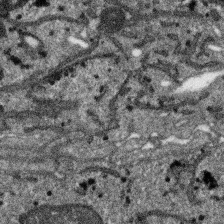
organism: Human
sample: Lung epithelial cells infected with SARS-CoV-2